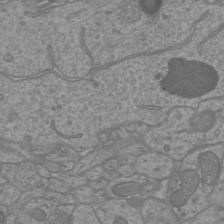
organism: Mouse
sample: Cortical neurons